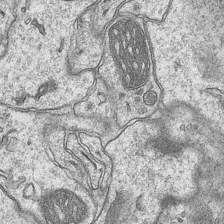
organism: Mouse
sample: CA1 Hippocampus